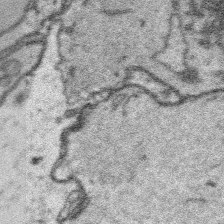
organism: Platynereis dumerilii